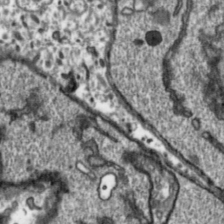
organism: Toxoplasma gondii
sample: Parasites in a vacuole inside a host cell